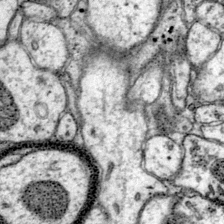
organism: Mouse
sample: Primary visual cortex